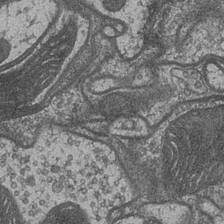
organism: Drosophila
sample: Optic medulla